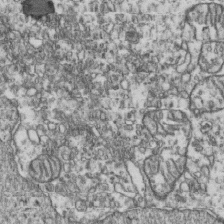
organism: Human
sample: Activated Jurkat CD4+ T cells